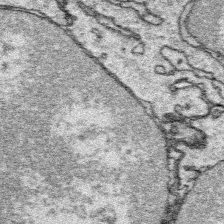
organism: Platynereis dumerilii